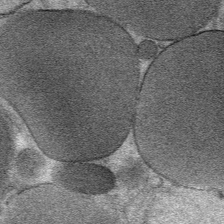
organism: Mouse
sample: Mouse Salivary gland